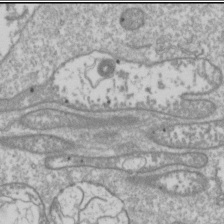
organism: Drosophila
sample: Cell division; meiosis; drosophila spermatocytes